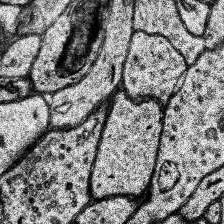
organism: Human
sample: Temporal Lobe